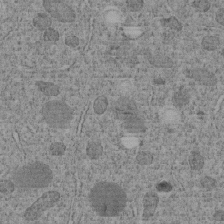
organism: C. elegans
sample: C. elegans embryo early stage